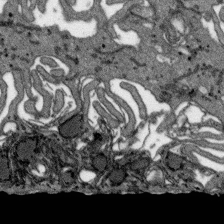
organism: Human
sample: Lung epithelial cells, uninfected (mock) control